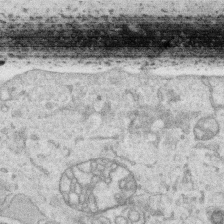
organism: Human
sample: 1205lu cells